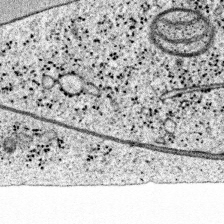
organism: Human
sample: HeLa cells